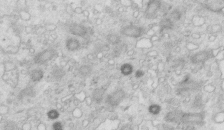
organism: Mouse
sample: Multiciliated cells